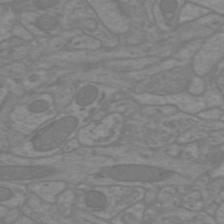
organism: Mouse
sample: Cortical neurons